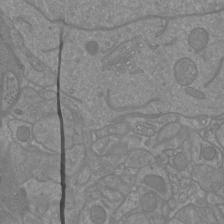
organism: Mouse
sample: Cortical neurons